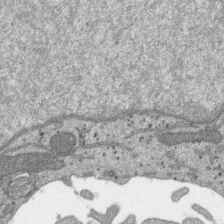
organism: Human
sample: Lung epithelial cells infected with SARS-CoV-2